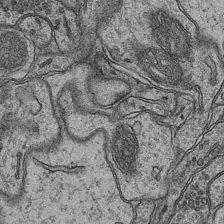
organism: Mouse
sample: CA1 Hippocampus